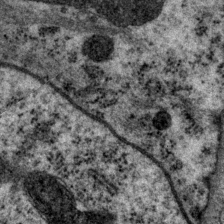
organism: P. pacificus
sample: Pharynx